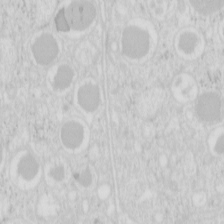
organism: Mouse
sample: Pancreas